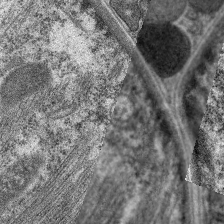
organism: C. elegans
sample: Pharynx